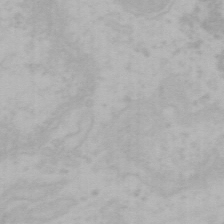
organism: Mouse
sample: Choroid plexus